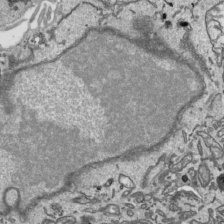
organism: Human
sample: Mitochondria in HCT116 cells